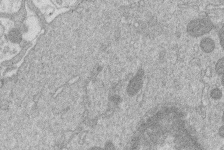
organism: Human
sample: Macrophage cells